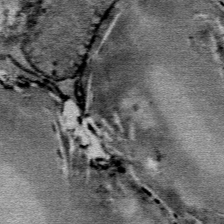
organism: Mouse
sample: Mouse Salivary gland